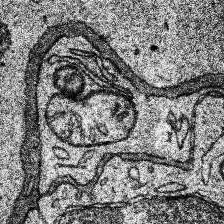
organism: Human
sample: Temporal Lobe